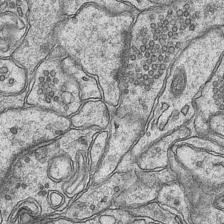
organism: Mouse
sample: CA1 Hippocampus